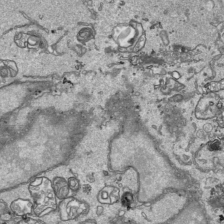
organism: Human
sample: Mitochondria in HCT116 cells